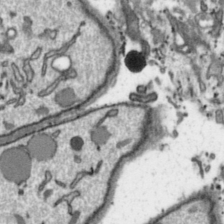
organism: Toxoplasma gondii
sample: Parasites in a vacuole inside a host cell